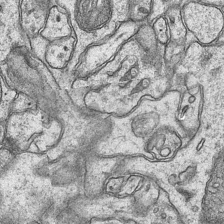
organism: Mouse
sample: CA1 Hippocampus